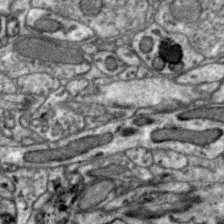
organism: Zebra finch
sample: Brain